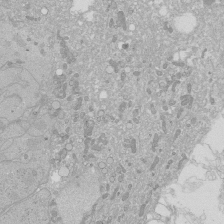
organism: Human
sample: Caco-2 cells